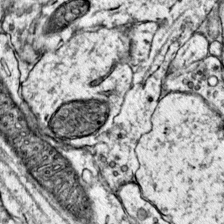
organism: Mouse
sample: Primary visual cortex